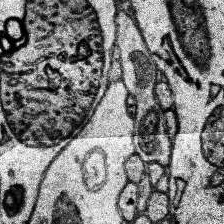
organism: Human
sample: Temporal Lobe